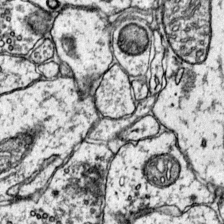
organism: Mouse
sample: Primary visual cortex